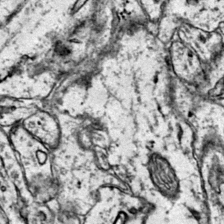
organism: Mouse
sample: Primary visual cortex